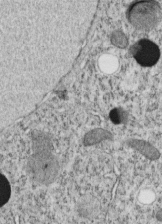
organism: C. elegans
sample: C. elegans embryo early stage